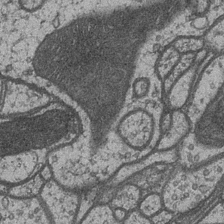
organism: Drosophila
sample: Optic medulla